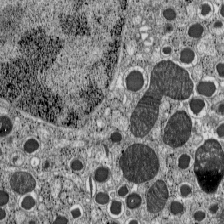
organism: C57BL Mouse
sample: Pancreatic islet